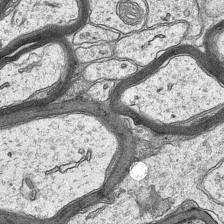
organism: Mouse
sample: CA1 Hippocampus